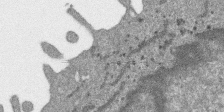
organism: Human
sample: Lung epithelial cells infected with SARS-CoV-2